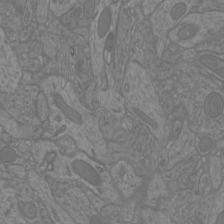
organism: Mouse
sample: Cortical neurons